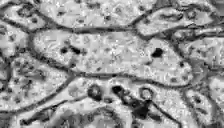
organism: Zebrafish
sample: Brain